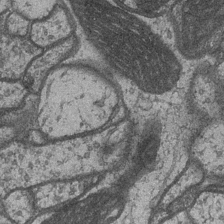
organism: Drosophila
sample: Optic medulla